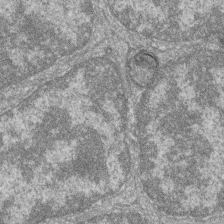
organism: Zebrafish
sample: Cilia; retinal pigment epithelium